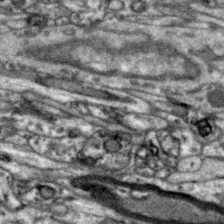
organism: Zebra finch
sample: Brain